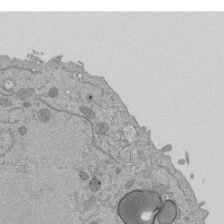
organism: Mouse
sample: ED-1 cell nuclei; centrioles